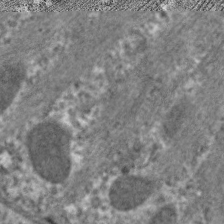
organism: C. elegans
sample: Pharynx